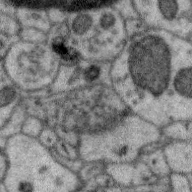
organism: Zebra finch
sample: Brain